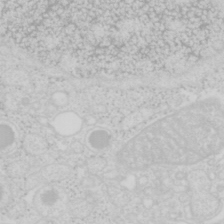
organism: Mouse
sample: Pancreas